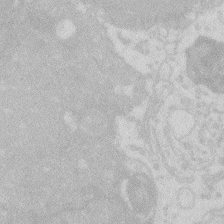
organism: Zebrafish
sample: Macrophage